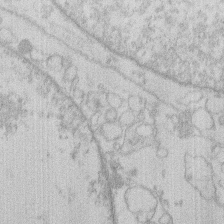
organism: Human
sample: Macrophage cells